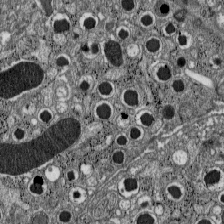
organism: C57BL Mouse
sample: Pancreatic islet